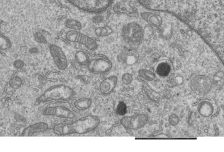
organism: Human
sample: MDA-MB-231 cells